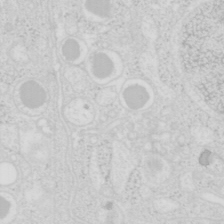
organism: Mouse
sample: Pancreas